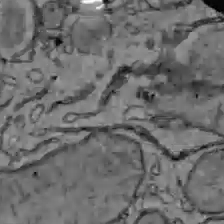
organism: C57BL Mouse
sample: Liver